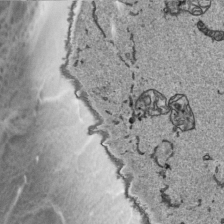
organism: Human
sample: Mitochondria in HCT116 cells